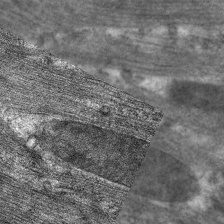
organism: C. elegans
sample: Pharynx